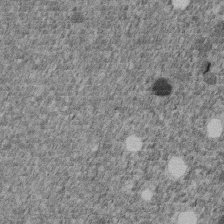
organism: C. elegans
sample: C. elegans embryo early stage